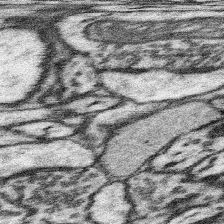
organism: Mouse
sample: Somatosensory cortex neuropil